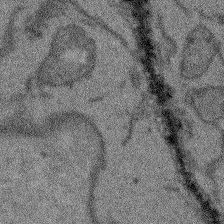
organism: Arabidopsis thaliana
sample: Root tip